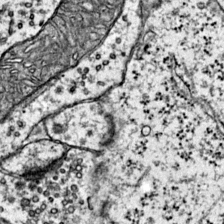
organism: Mouse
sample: Primary visual cortex